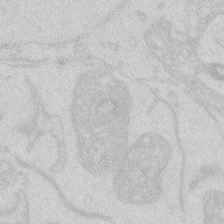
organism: Zebrafish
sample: Macrophage